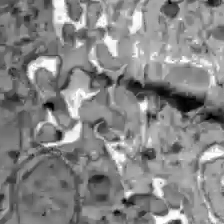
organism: C57BL Mouse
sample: Liver